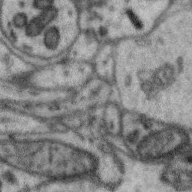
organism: Zebra finch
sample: Brain